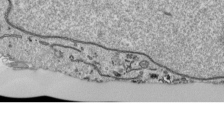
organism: Human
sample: Mitochondria in HCT116 cells